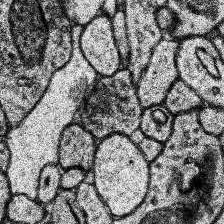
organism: Human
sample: Temporal Lobe